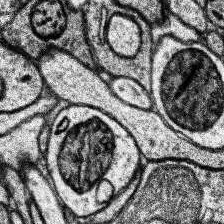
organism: Human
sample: Temporal Lobe